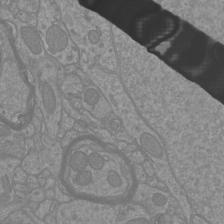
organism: Mouse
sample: Cortical neurons